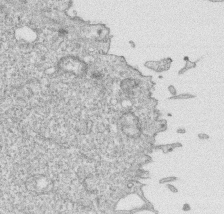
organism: Human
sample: HeLa cell HIV synapse